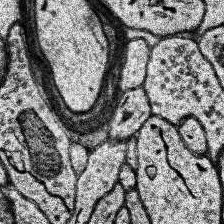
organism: Human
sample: Temporal Lobe